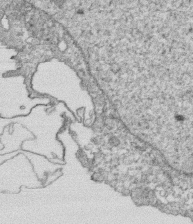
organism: Human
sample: HeLa cell HIV synapse